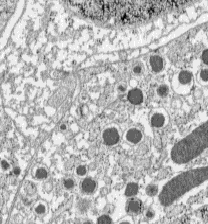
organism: C57BL Mouse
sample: Pancreatic islet